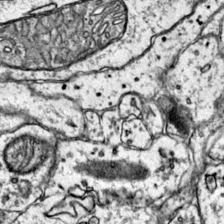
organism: Mouse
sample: Primary visual cortex